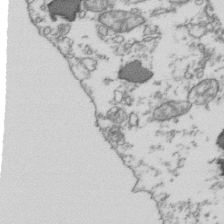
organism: Human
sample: Activated Jurkat CD4+ T cells